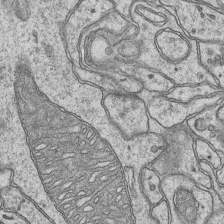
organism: Mouse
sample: CA1 Hippocampus